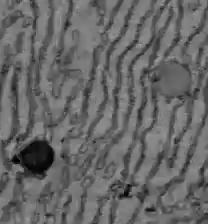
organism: C57BL Mouse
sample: Liver